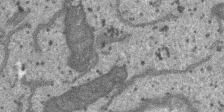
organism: Human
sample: Lung epithelial cells infected with SARS-CoV-2